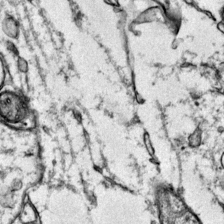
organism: Mouse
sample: Primary visual cortex